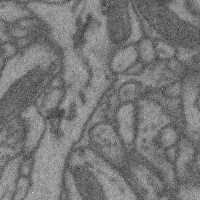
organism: Mouse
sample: Cerebral cortex